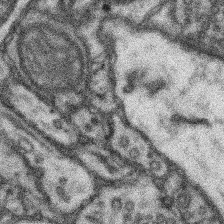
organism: Mouse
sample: Somatosensory cortex neuropil